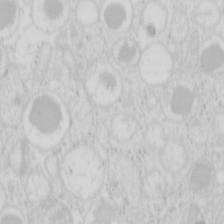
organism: Mouse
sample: Pancreas